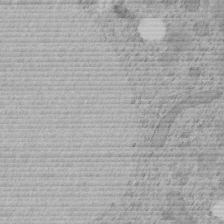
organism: C. elegans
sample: C. elegans embryo early stage